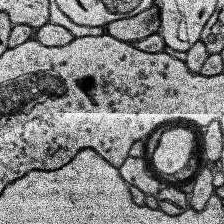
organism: Human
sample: Temporal Lobe